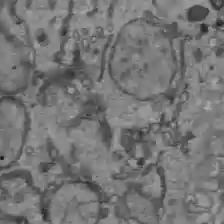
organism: C57BL Mouse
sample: Liver